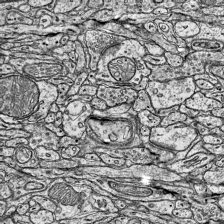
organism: Mouse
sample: Visual Cortex